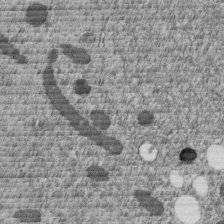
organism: C. elegans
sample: C. elegans embryo early stage